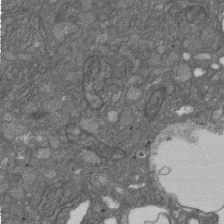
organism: Drosophila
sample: Nephrocyte